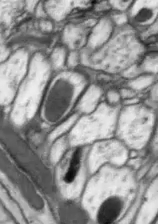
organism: Drosophila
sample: Optic lobe